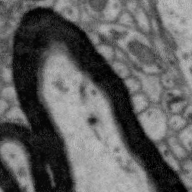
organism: Zebra finch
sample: Brain